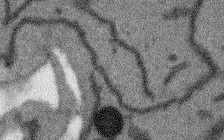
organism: Arabidopsis thaliana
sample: Root tip